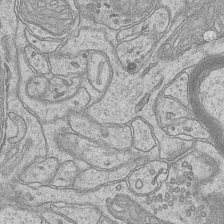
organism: Mouse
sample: CA1 Hippocampus